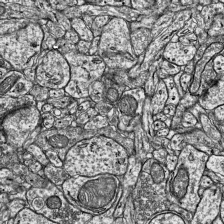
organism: Mouse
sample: Visual Cortex